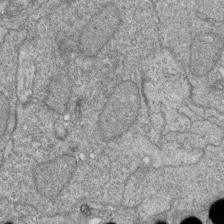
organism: Zebrafish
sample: Cilia; retinal pigment epithelium